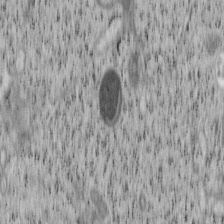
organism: Human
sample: HeLa cells